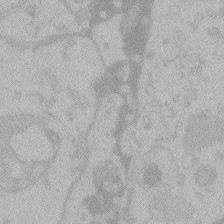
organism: Zebrafish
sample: Macrophage infected with Toxoplasma gondii